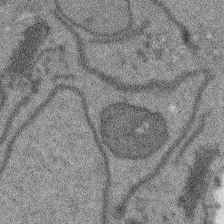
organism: Arabidopsis thaliana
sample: Root tip